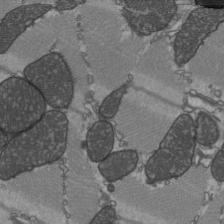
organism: C57BL Mouse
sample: Heart